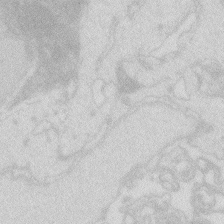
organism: Zebrafish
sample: Macrophage